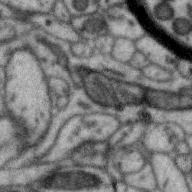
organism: Zebra finch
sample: Brain